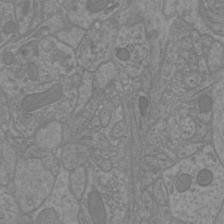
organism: Mouse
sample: Cortical neurons